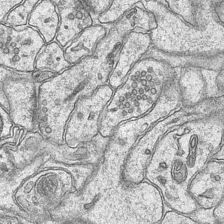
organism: Mouse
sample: CA1 Hippocampus